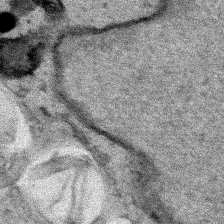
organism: Human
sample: Mitochondria in HCT116 cells